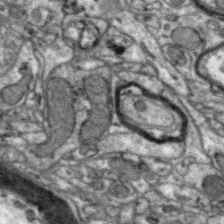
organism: Zebra finch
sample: Brain